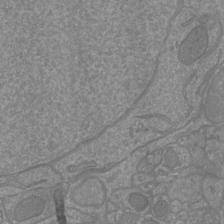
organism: Mouse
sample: Cortical neurons